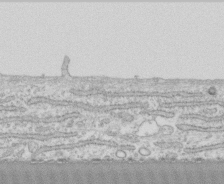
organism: Human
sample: CRL-1474